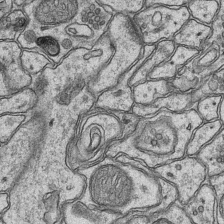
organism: Mouse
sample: CA1 Hippocampus